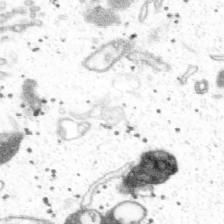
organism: Human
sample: HeLa cells